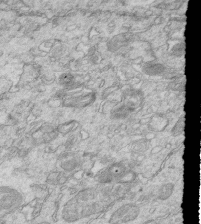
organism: Mouse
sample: Multiciliated cells